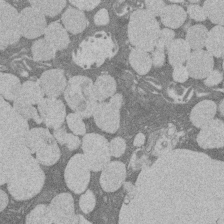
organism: Rat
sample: Salivary granule